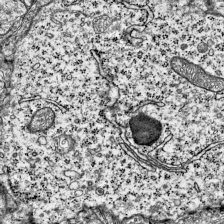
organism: Mouse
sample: Visual Cortex